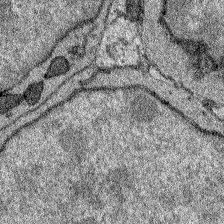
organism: Zebrafish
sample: Larval olfactory bulb